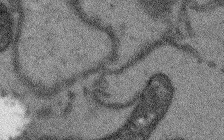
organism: Arabidopsis thaliana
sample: Root tip